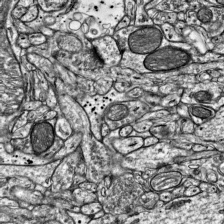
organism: Mouse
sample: Visual Cortex